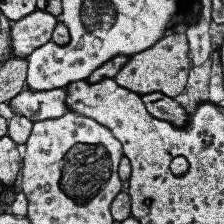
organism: Human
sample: Temporal Lobe